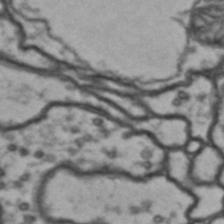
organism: Drosophila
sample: Brain